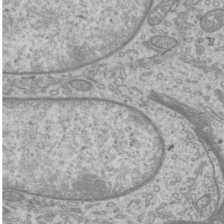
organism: Mouse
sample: Cilia; mouse epididymis